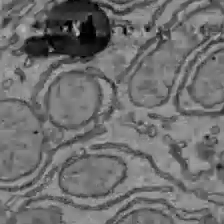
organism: C57BL Mouse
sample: Liver